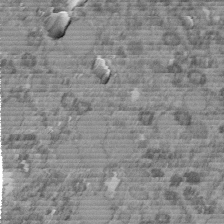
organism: C. elegans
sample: C. elegans embryo early stage